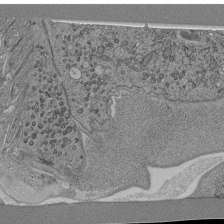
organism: C. elegans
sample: C. elegans pharynx